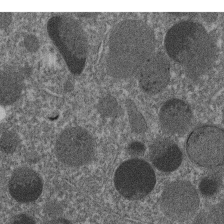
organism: C. elegans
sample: C. elegans embryo early stage